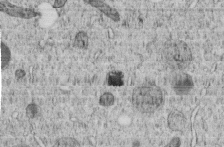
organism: C. elegans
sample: C. elegans embryo early stage